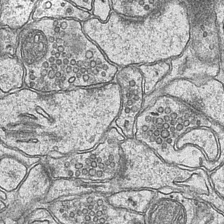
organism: Mouse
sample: CA1 Hippocampus